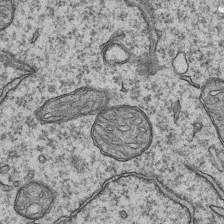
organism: Mouse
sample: CA1 Hippocampus